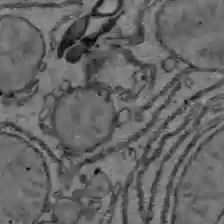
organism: C57BL Mouse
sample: Liver